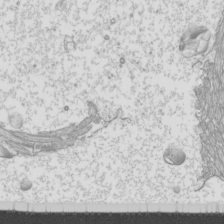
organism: Mouse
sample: Cilia; mouse epididymis